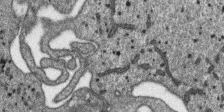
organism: Human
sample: Lung epithelial cells infected with SARS-CoV-2